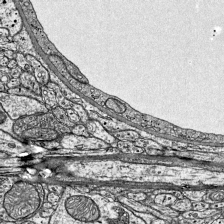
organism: Mouse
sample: Visual Cortex